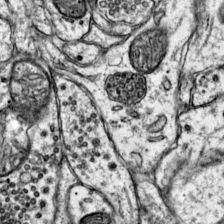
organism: Mouse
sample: Primary visual cortex